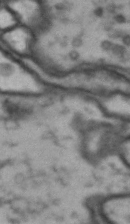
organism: Drosophila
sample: Brain